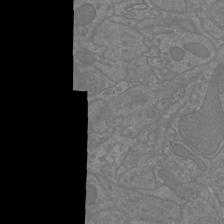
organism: Mouse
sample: Cortical neurons